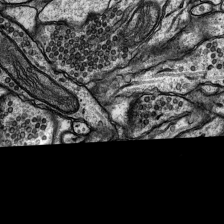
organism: Rat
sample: Hippocampus